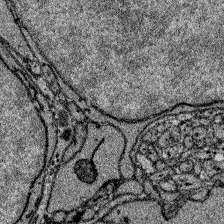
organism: Zebrafish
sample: Larval olfactory bulb